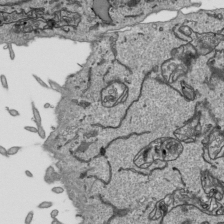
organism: Human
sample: Mitochondria in HCT116 cells